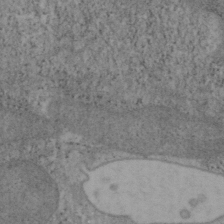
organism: Mouse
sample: OT-I killer T cells with ID8 ovarian cancer cells